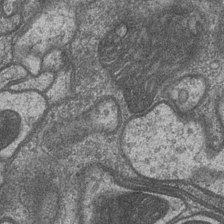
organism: Drosophila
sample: Optic medulla